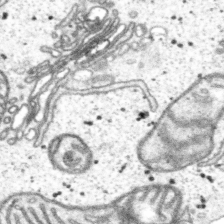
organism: Human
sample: HeLa cells